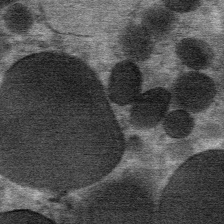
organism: Mouse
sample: Mouse Salivary gland